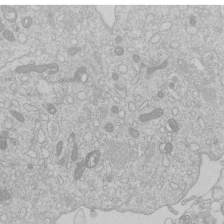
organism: Human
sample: Macrophage cells